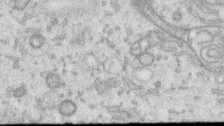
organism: Human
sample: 1205lu cells